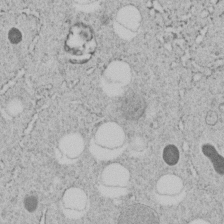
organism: C. elegans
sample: C. elegans embryo early stage